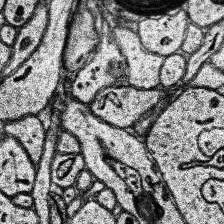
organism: Human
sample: Temporal Lobe